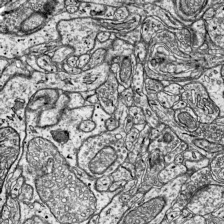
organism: Mouse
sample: Visual Cortex